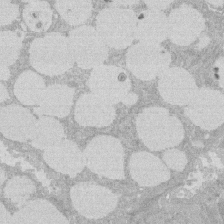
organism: Rat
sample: Salivary granule